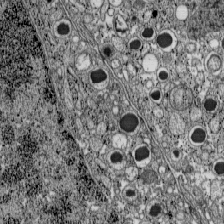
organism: C57BL Mouse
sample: Pancreatic islet